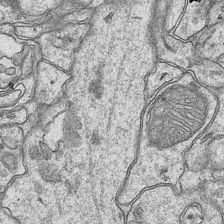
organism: Mouse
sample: CA1 Hippocampus